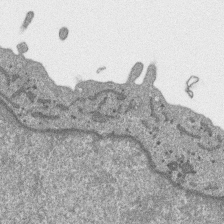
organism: Human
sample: Lung epithelial cells infected with SARS-CoV-2